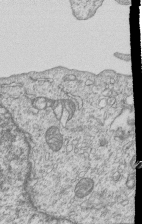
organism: Human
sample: MDA-MB-231 cells